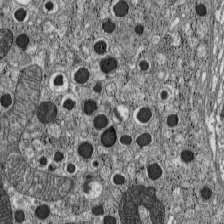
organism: C57BL Mouse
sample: Pancreatic islet